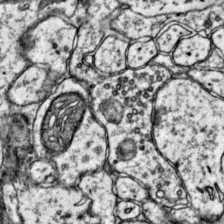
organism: Mouse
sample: Primary visual cortex